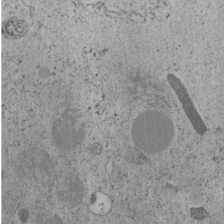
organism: C. elegans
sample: C. elegans embryo early stage